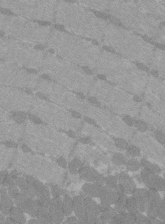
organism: C57BL Mouse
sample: Tibialis anterior muscle cell